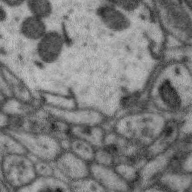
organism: Zebra finch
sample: Brain